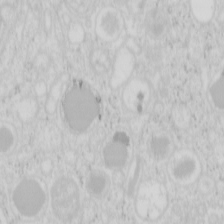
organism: Mouse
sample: Pancreas